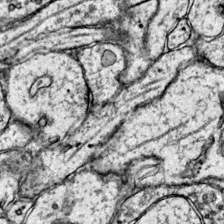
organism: Mouse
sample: Primary visual cortex